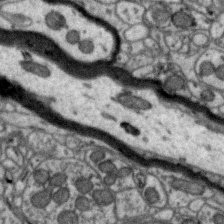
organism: Zebra finch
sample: Brain